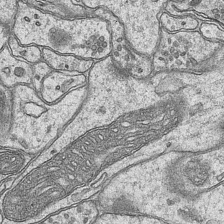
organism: Mouse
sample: CA1 Hippocampus